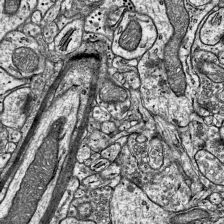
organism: Mouse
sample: Visual Cortex